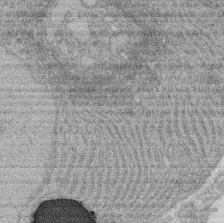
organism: Rat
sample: Salivary granule